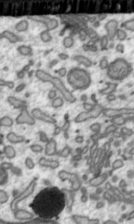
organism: Toxoplasma gondii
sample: Parasites in a vacuole inside a host cell